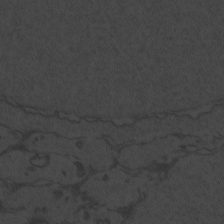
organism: Zebrafish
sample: Macrophage infected with Toxoplasma gondii